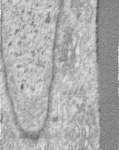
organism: Human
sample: Centriole in RPE cells